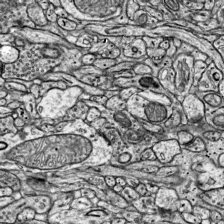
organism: Mouse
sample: Visual Cortex